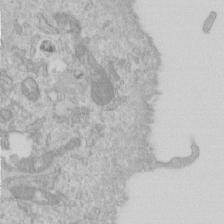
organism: Human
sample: Centriole in RPE cells